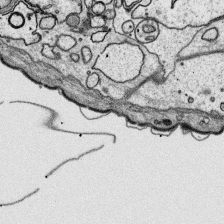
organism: Platynereis dumerilii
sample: Parapodia